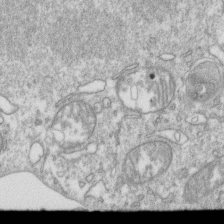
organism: Mouse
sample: Activated OT-1 CD8+ T cells